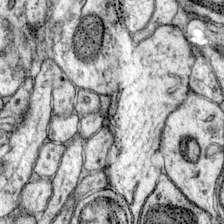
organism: Mouse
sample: Primary visual cortex